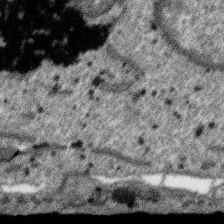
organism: Human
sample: Lung epithelial cells infected with SARS-CoV-2